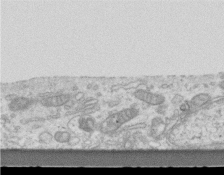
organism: Mouse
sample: Centriole in ependymal cells